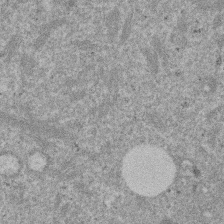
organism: Mouse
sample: Dividing mouse embryo 1 cell stage